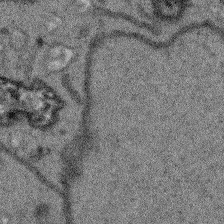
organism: Arabidopsis thaliana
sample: Root tip